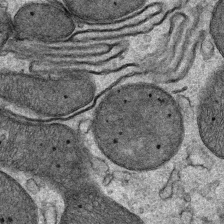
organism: Mouse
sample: Mouse Salivary gland